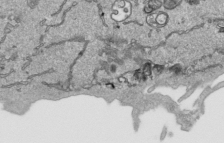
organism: Human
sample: Mitochondria in HCT116 cells